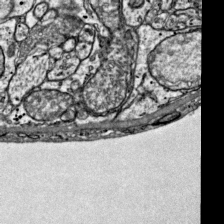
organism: Mouse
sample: Visual Cortex